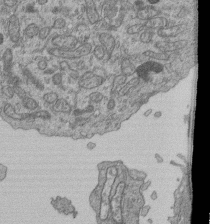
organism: Human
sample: Retinal organoid Rod and Cone cells